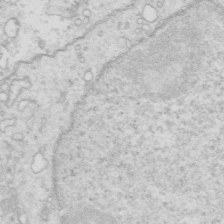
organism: Mouse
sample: Multiciliated cells